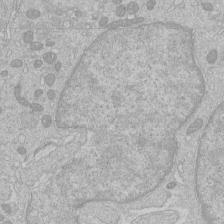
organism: Human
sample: Macrophage cells